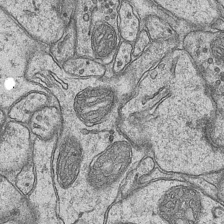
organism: Mouse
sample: CA1 Hippocampus